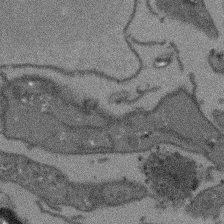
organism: Arabidopsis thaliana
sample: Root tip